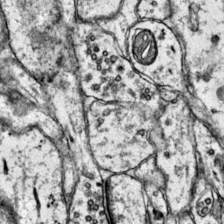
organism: Mouse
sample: Primary visual cortex